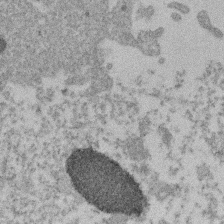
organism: Mouse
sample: Dividing mouse embryo 1 cell stage